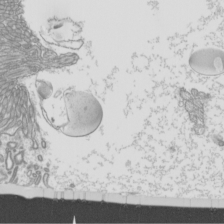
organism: Mouse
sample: Cilia; mouse epididymis